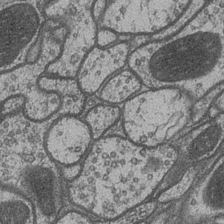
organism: Drosophila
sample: Optic medulla